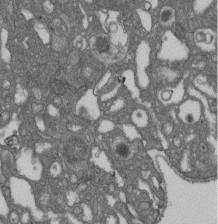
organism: Drosophila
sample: Nephrocyte